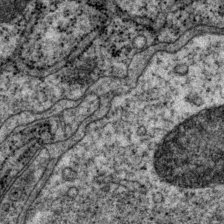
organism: P. pacificus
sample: Pharynx